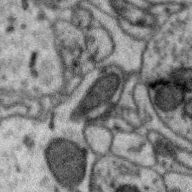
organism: Zebra finch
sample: Brain